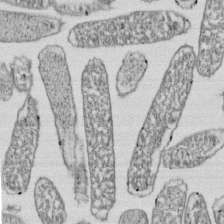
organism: E. coli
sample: Bacterial nucleoid